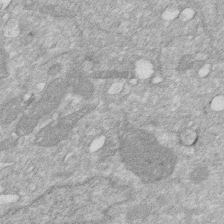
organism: Human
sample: HIV infected U937 cells